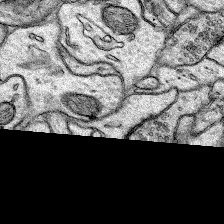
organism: Rat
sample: Hippocampus